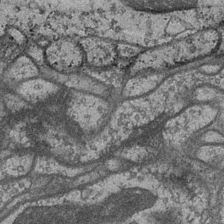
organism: Drosophila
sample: Optic medulla